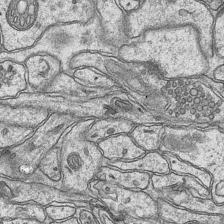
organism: Mouse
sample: CA1 Hippocampus